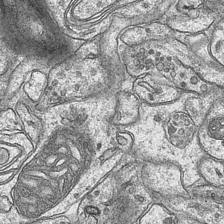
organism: Mouse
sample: CA1 Hippocampus